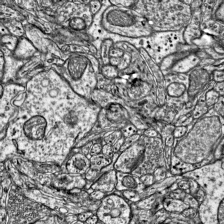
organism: Mouse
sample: Visual Cortex